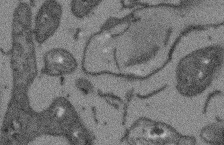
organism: Arabidopsis thaliana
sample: Root tip